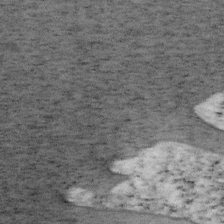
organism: Mouse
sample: OT-I killer T cells with ID8 ovarian cancer cells